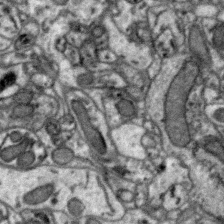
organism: Zebra finch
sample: Brain